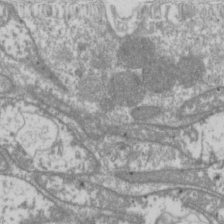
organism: Drosophila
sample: Cell division; meiosis; drosophila spermatocytes